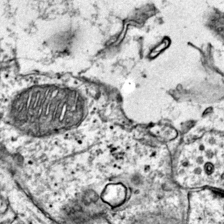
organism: Mouse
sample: Primary visual cortex